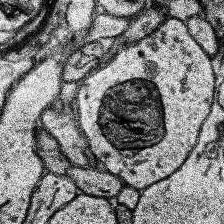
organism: Human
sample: Temporal Lobe